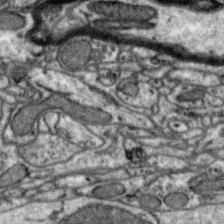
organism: Zebra finch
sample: Brain